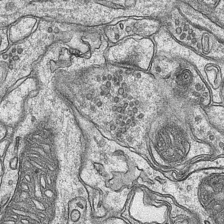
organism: Mouse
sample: CA1 Hippocampus